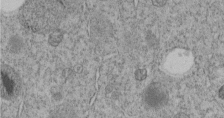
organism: C. elegans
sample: C. elegans embryo early stage